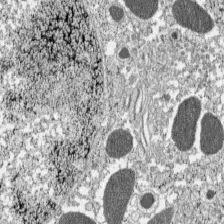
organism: C57BL Mouse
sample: Pancreatic islet